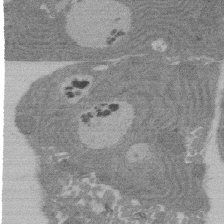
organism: Rat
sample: Salivary granule